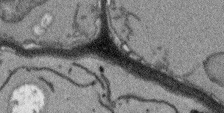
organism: Arabidopsis thaliana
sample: Root tip